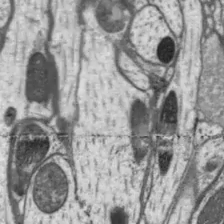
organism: Drosophila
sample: Protocerebral bridge